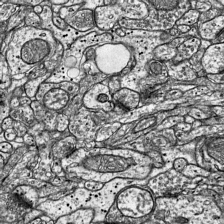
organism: Mouse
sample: Visual Cortex